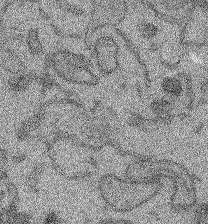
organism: Human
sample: HeLa cells